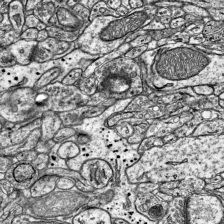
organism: Mouse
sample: Visual Cortex